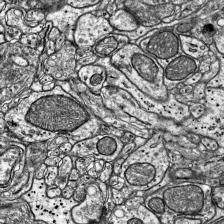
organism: Mouse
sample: Visual Cortex